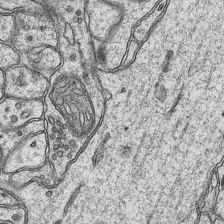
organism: Mouse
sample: CA1 Hippocampus